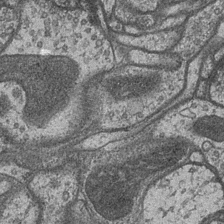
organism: Drosophila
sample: Optic medulla